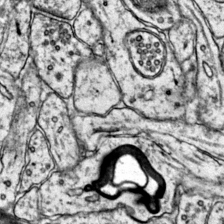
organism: Mouse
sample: Primary visual cortex